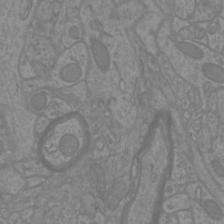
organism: Mouse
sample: Cortical neurons